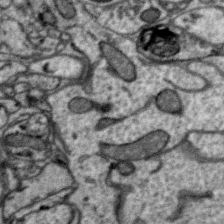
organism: Zebra finch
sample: Brain